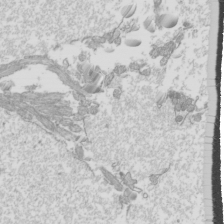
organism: Mouse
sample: Cilia; mouse epididymis